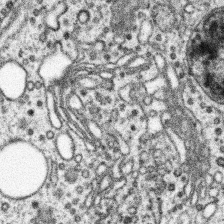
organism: Human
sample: HeLa cells